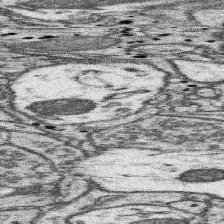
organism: Mouse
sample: Somatosensory cortex neuropil